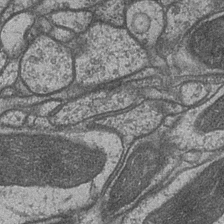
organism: Drosophila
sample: Optic medulla